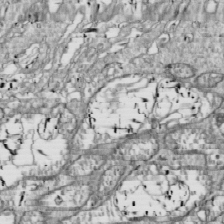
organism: Drosophila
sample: Cell division; meiosis; drosophila spermatocytes